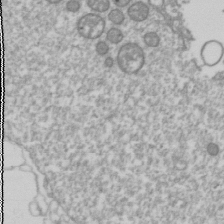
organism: Drosophila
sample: Cell division; meiosis; drosophila spermatocytes